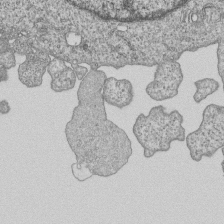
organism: Human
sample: MDA-MB-231 cells